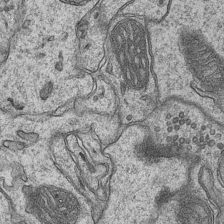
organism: Mouse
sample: CA1 Hippocampus